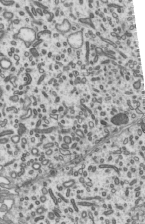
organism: Mouse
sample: Mouse epididymis efferent ductule cilia